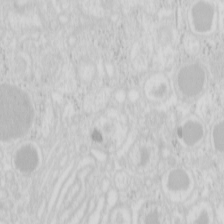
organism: Mouse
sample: Pancreas